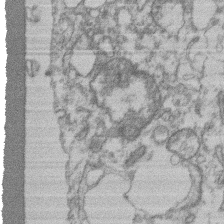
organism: Mouse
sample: T cell stromal cell synapse